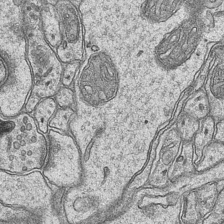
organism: Mouse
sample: CA1 Hippocampus